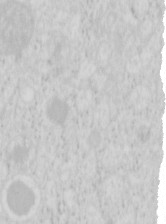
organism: Mouse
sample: Pancreas